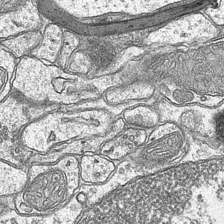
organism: Mouse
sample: CA1 Hippocampus